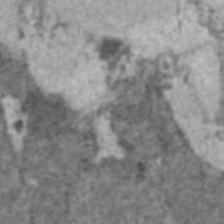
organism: C57BL Mouse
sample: Heart